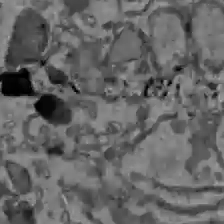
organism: C57BL Mouse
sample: Liver